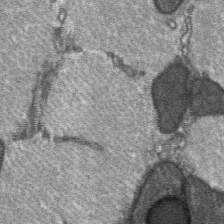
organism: C57BL Mouse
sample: Soleus